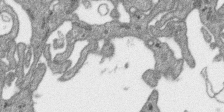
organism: Human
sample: Lung epithelial cells infected with SARS-CoV-2